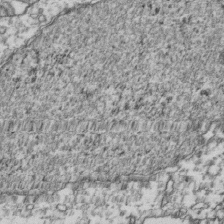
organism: Human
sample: Activated Jurkat CD4+ T cells